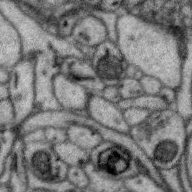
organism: Zebra finch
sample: Brain